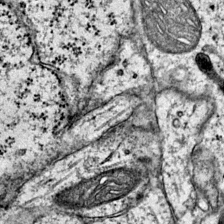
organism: Mouse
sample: Primary visual cortex